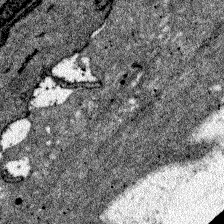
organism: Zebrafish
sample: Larval olfactory bulb